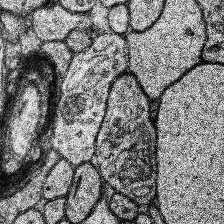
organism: Human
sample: Temporal Lobe